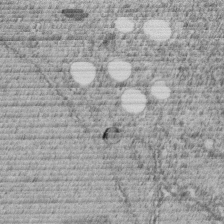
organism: C. elegans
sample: C. elegans embryo early stage